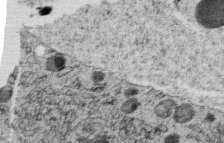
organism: C. elegans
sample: C. elegans oocyte; sperm cells